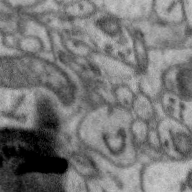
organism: Zebra finch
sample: Brain